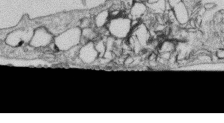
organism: Human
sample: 1205lu cells